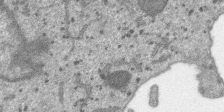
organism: Human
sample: Lung epithelial cells infected with SARS-CoV-2